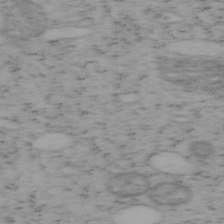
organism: Mouse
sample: OT-I killer T cells with ID8 ovarian cancer cells